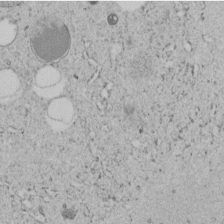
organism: C. elegans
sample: C. elegans embryo early stage